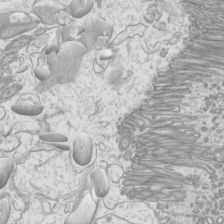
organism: Mouse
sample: Cilia; mouse epididymis